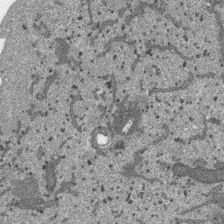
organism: Human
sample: Lung epithelial cells infected with SARS-CoV-2